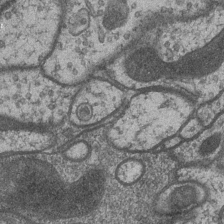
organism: Drosophila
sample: Optic medulla